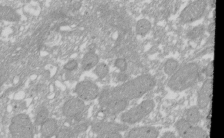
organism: Xenopus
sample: Cilia; centrioles in frog embryo cells